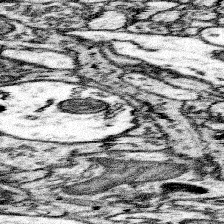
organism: Mouse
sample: Somatosensory cortex neuropil